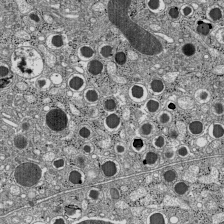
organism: C57BL Mouse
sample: Pancreatic islet